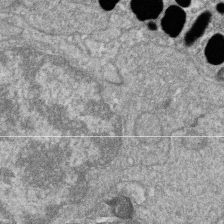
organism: Zebrafish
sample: Cilia; retinal pigment epithelium